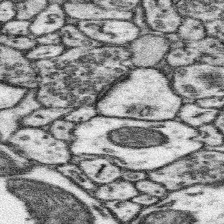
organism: Mouse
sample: Somatosensory cortex neuropil